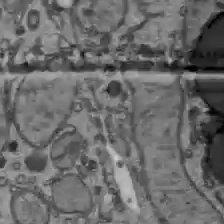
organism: C57BL Mouse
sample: Liver